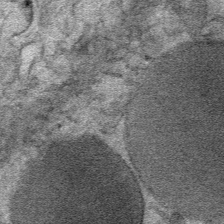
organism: Mouse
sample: Mouse Salivary gland